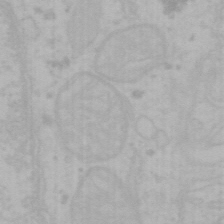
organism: Mouse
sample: Choroid plexus